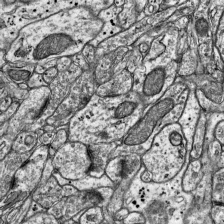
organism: Mouse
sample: Visual Cortex